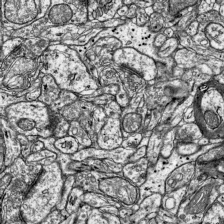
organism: Mouse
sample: Visual Cortex